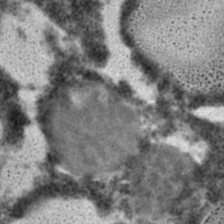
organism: C. elegans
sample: C. elegans embryo